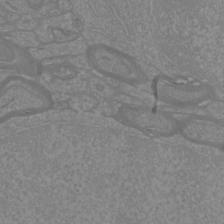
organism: Mouse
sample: Cortical neurons